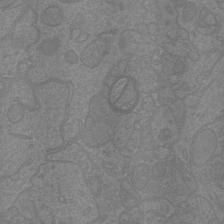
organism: Mouse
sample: Cortical neurons